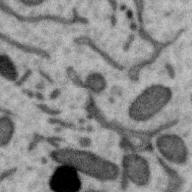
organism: Zebra finch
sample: Brain